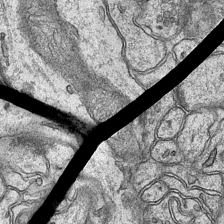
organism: Mouse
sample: CA1 Hippocampus